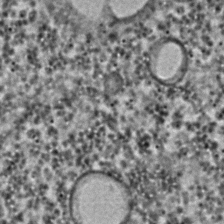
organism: C. elegans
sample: C. elegans embryo